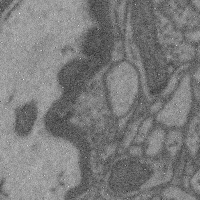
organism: Mouse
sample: Cerebral cortex